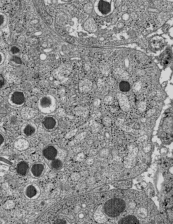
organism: C57BL Mouse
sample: Pancreatic islet